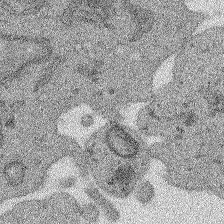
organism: Human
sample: HeLa cells